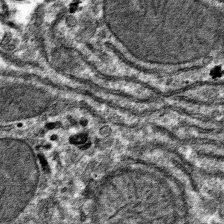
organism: Mouse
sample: Mouse hepatocytes